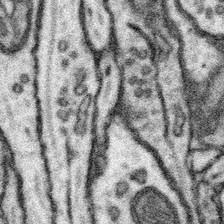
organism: Mouse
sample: Somatosensory cortex neuropil